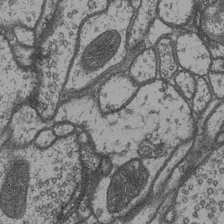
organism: Drosophila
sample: Optic medulla